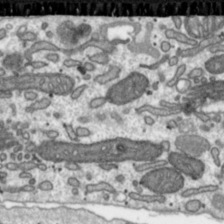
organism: Toxoplasma gondii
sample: Parasites in a vacuole inside a host cell